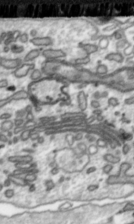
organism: Toxoplasma gondii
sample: Parasites in a vacuole inside a host cell